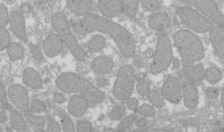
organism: Xenopus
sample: Cilia; centrioles in frog embryo cells